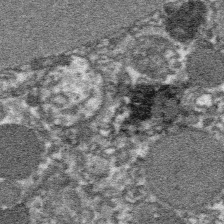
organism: Platynereis dumerilii